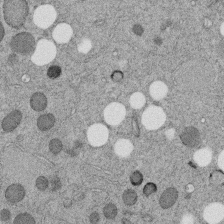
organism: C. elegans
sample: C. elegans embryo early stage